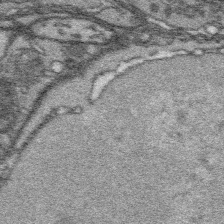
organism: Platynereis dumerilii